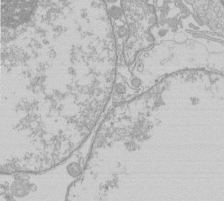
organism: Human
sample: Macrophage cells